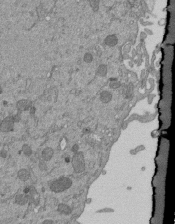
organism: Mouse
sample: ED-1 cell nuclei; centrioles